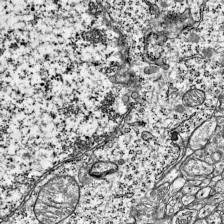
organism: Mouse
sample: Visual Cortex